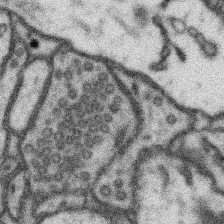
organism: Mouse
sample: Somatosensory cortex neuropil